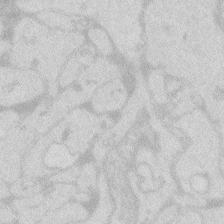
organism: Zebrafish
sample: Macrophage